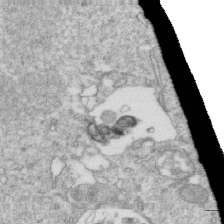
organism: Mouse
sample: Activated OT-1 CD8+ T cells